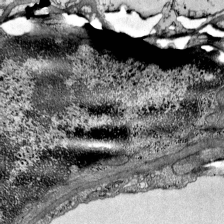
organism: Mouse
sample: Visual Cortex